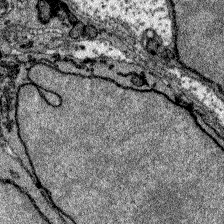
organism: Zebrafish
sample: Larval olfactory bulb